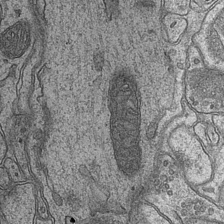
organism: Mouse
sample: CA1 Hippocampus